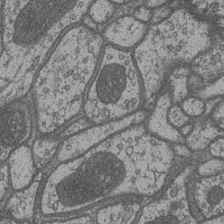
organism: Drosophila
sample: Optic medulla